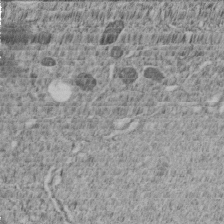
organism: C. elegans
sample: C. elegans embryo early stage